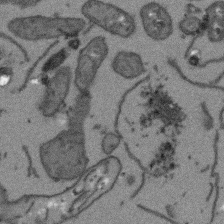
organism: Arabidopsis thaliana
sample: Root tip